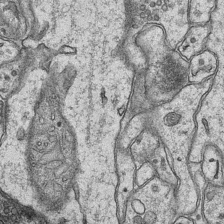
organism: Mouse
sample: CA1 Hippocampus